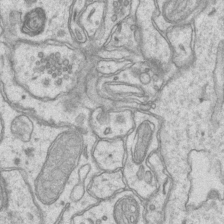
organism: Mouse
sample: CA1 Hippocampus